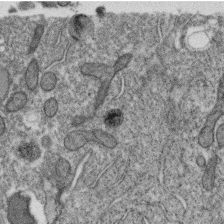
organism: C. elegans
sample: C. elegans oocyte; sperm cells